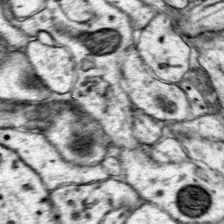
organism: Mouse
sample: Primary visual cortex